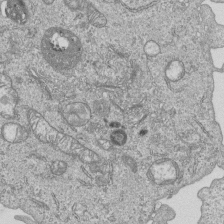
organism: Human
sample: MDA-MB-231 cells